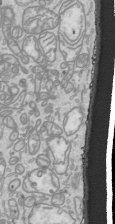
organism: Human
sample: Mitochondria in HCT116 cells